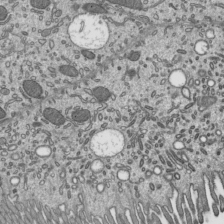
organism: Mouse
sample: Mouse epididymis efferent ductule cilia